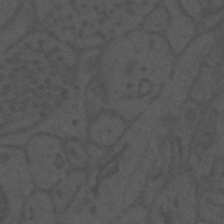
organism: Mouse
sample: Suprachiasmatic nucleus